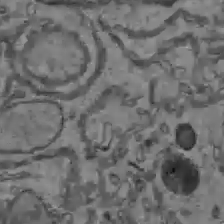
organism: C57BL Mouse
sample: Liver